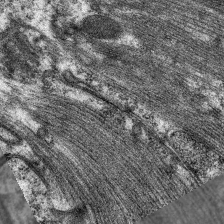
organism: C. elegans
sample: Pharynx